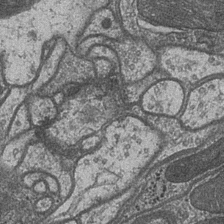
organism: Drosophila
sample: Optic medulla